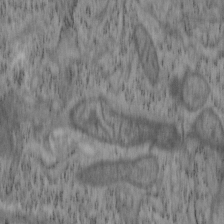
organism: Human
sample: HeLa cells